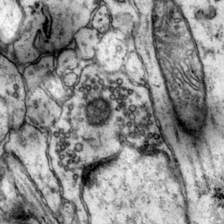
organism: Mouse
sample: Primary visual cortex